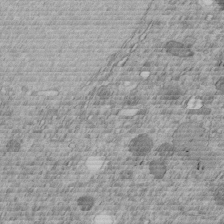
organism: C. elegans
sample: C. elegans embryo early stage